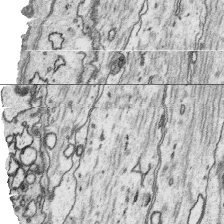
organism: Platynereis dumerilii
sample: Parapodia